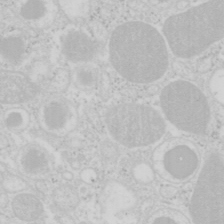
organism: Mouse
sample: Pancreas